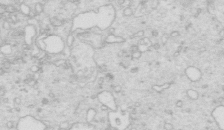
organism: Mouse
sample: Multiciliated cells